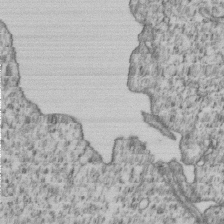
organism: Human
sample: MDA-MB-231 cells